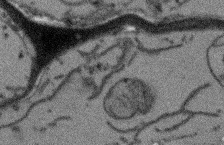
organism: Arabidopsis thaliana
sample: Root tip